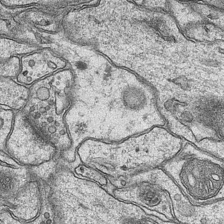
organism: Mouse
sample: CA1 Hippocampus